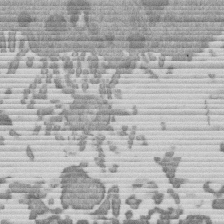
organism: Mouse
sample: Dividing mouse embryo 1 cell stage